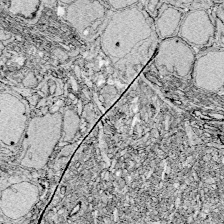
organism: Zebrafish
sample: Whole-Brain